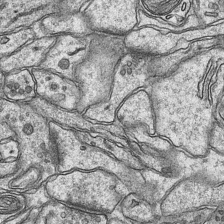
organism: Mouse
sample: CA1 Hippocampus